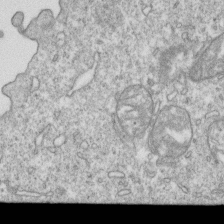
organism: Mouse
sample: Activated OT-1 CD8+ T cells